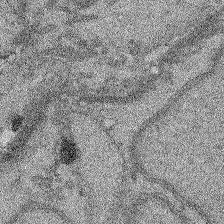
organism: Human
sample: HeLa cells